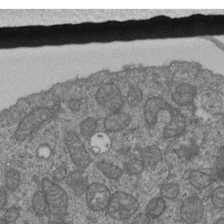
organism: Human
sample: Retinal organoid Rod and Cone cells